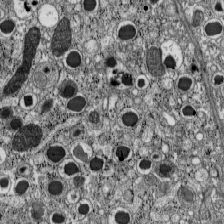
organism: C57BL Mouse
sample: Pancreatic islet